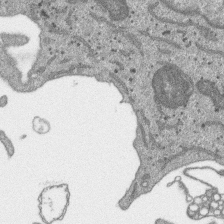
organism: Human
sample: Lung epithelial cells infected with SARS-CoV-2